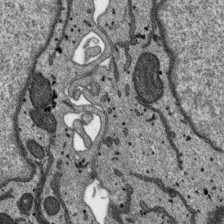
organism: Human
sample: Lung epithelial cells, uninfected (mock) control